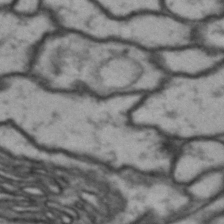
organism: Drosophila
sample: Brain